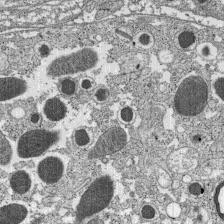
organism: C57BL Mouse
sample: Pancreatic islet